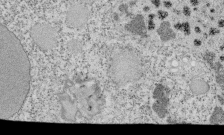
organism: Tetrahymena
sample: Cilia in tetrahymena